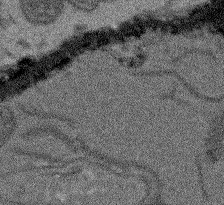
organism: Arabidopsis thaliana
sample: Root tip